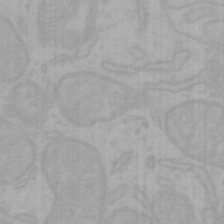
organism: Mouse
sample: Choroid plexus